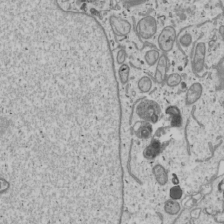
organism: Human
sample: Mitochondria in U2OS cells